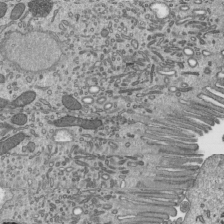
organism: Mouse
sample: Mouse epididymis efferent ductule cilia